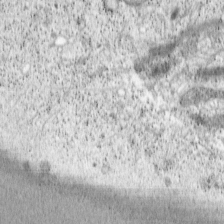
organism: African green monkey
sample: COS-7 cells